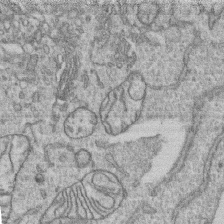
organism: Human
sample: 1205lu cells